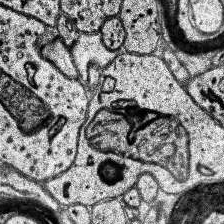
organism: Human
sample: Temporal Lobe